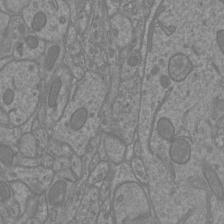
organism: Mouse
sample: Cortical neurons